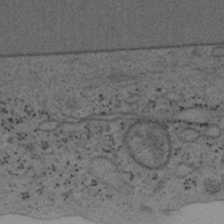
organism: Human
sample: HeLa cells